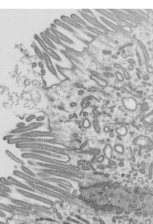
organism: Mouse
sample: Mouse epididymis efferent ductule cilia